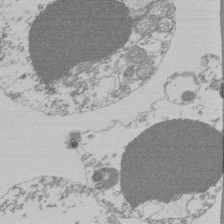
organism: Mouse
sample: Activated Pmel transgenic CD8+ T Cells